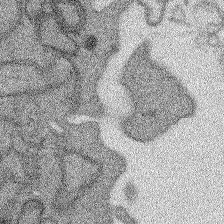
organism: Human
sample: HeLa cells